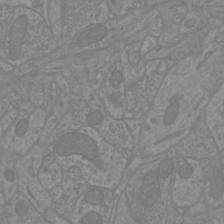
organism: Mouse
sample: Cortical neurons